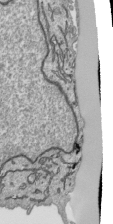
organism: Human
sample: Mitochondria in HCT116 cells